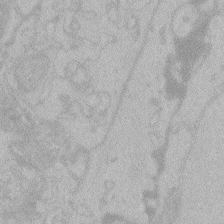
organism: Zebrafish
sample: Macrophage infected with Toxoplasma gondii